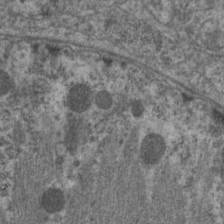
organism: C. elegans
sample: Pharynx